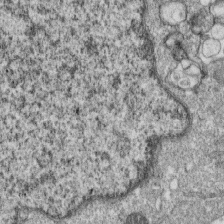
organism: African green monkey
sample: Vero E6 cells infected with SARS-CoV-2